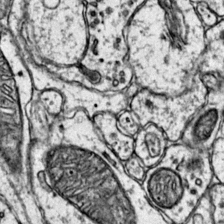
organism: Mouse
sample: Primary visual cortex